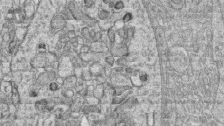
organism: Zebrafish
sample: synaptic ribbons in rod cells and cone cells